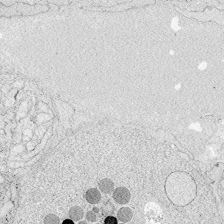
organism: Zebrafish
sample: Whole-Brain